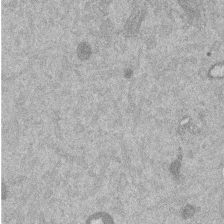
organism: Mouse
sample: Dividing mouse embryo 1 cell stage